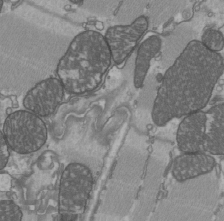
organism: C57BL Mouse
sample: Heart